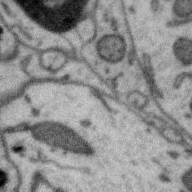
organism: Zebra finch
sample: Brain